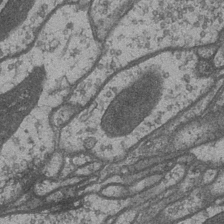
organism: Drosophila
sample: Optic medulla